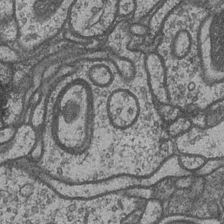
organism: Drosophila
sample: Optic medulla